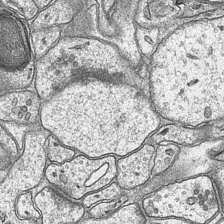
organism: Mouse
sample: CA1 Hippocampus